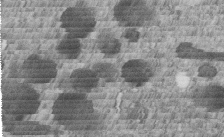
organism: C. elegans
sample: C. elegans embryo early stage